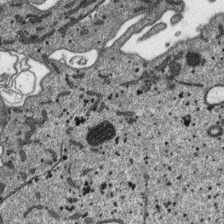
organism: Human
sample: Lung epithelial cells infected with SARS-CoV-2